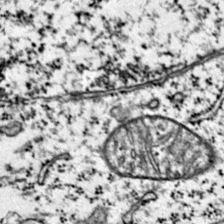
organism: Mouse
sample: Primary visual cortex